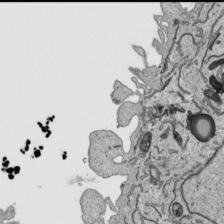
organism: Human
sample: Mitochondria in HCT116 cells